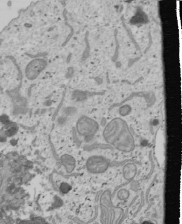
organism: Human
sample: Mitochondria in U2OS cells